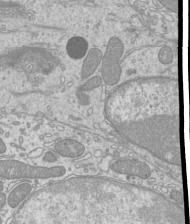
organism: Mouse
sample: Cilia; mouse epididymis